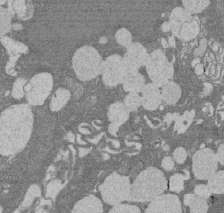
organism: Rat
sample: Salivary granule